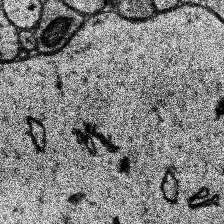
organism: Human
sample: Temporal Lobe